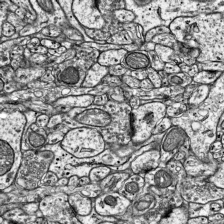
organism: Mouse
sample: Visual Cortex